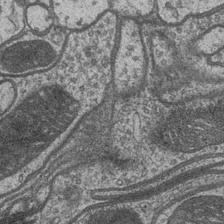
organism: Drosophila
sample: Optic medulla